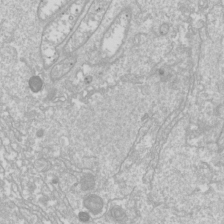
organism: Drosophila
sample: Cell division; meiosis; drosophila spermatocytes